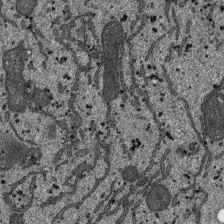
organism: Human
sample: Lung epithelial cells infected with SARS-CoV-2